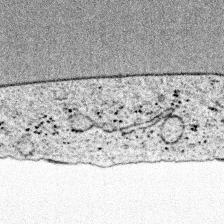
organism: Human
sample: HeLa cells